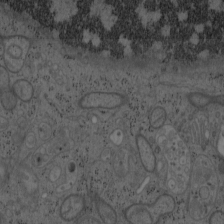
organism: Mouse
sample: OT-I killer T cells with ID8 ovarian cancer cells